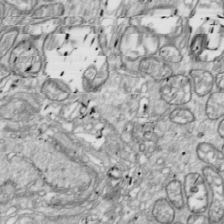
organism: Drosophila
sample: Cell division; meiosis; drosophila spermatocytes